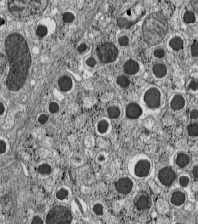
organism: C57BL Mouse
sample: Pancreatic islet